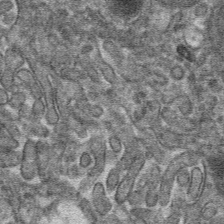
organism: Mouse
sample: Mouse hepatocytes